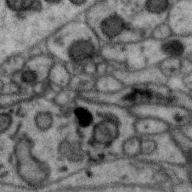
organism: Zebra finch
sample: Brain